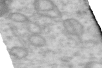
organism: Human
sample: Centriole in RPE cells